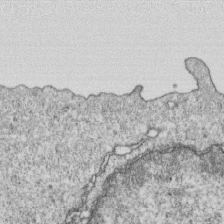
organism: Mouse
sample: Activated OT-1 CD8+ T cells